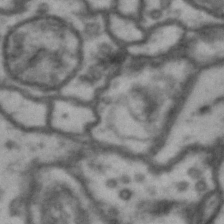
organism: Drosophila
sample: Brain